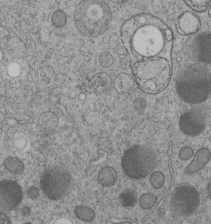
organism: C. elegans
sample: C. elegans embryo early stage